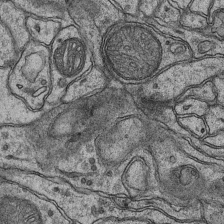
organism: Mouse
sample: CA1 Hippocampus